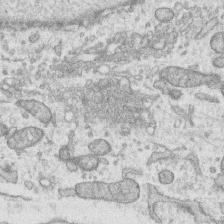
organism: Human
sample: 1205lu cells